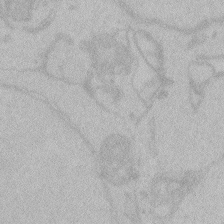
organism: Zebrafish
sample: Macrophage infected with Toxoplasma gondii